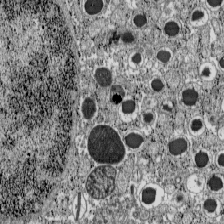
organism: C57BL Mouse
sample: Pancreatic islet